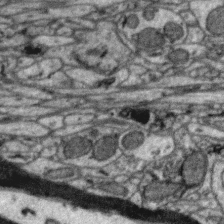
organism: Zebra finch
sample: Brain